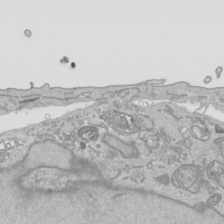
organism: Human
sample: Mitochondria in HCT116 cells